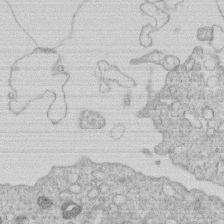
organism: Human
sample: Macrophage cells